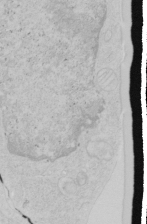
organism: Human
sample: Mitochondria in HCT116 cells